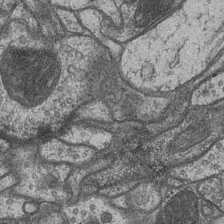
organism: Drosophila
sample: Optic medulla